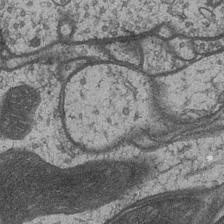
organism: Drosophila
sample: Optic medulla